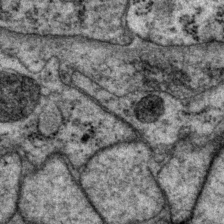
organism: P. pacificus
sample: Pharynx